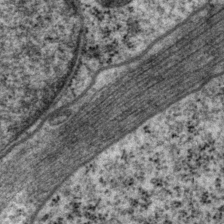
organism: P. pacificus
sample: Pharynx